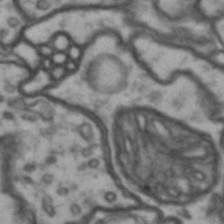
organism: Drosophila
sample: Brain